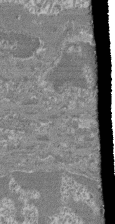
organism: Mouse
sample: Glomerulus